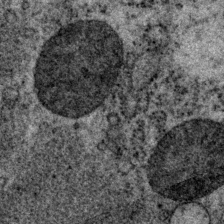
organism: P. pacificus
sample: Pharynx